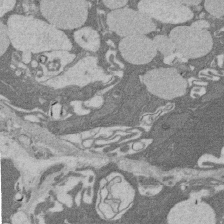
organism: Rat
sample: Salivary granule